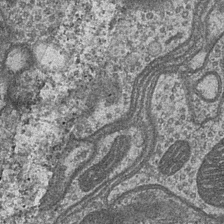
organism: Drosophila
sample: Optic medulla